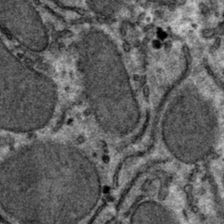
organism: Mouse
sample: Mouse hepatocytes